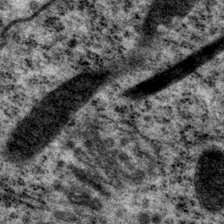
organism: P. pacificus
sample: Pharynx